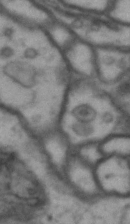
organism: Drosophila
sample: Brain